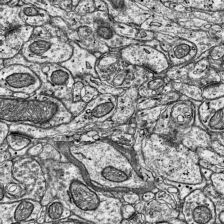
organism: Mouse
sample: Visual Cortex